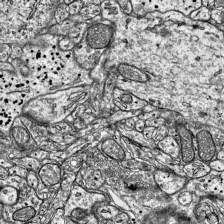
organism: Mouse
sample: Visual Cortex